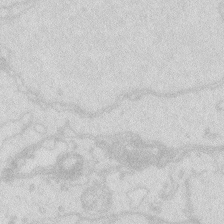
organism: Zebrafish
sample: Macrophage